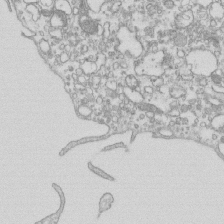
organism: Mouse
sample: Macrophages